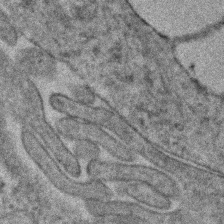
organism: Human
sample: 1205lu cells